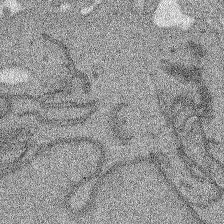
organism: Human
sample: HeLa cells